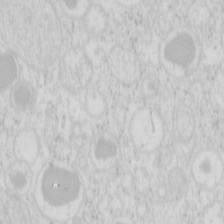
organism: Mouse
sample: Pancreas